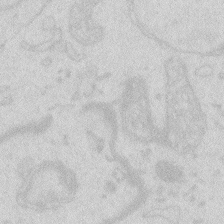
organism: Zebrafish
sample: Macrophage